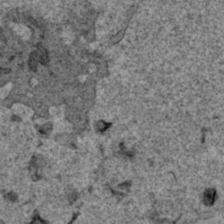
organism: Human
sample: Mitochondria in HCT116 cells